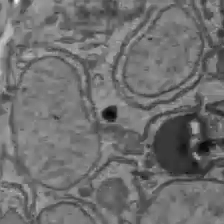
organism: C57BL Mouse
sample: Liver